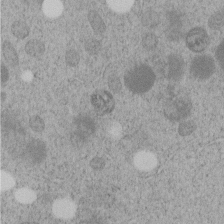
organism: C. elegans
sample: C. elegans embryo early stage